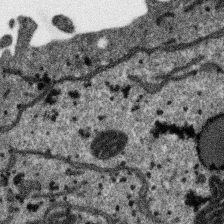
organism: Human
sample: Lung epithelial cells infected with SARS-CoV-2